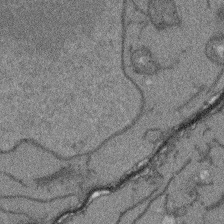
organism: Arabidopsis thaliana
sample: Root tip